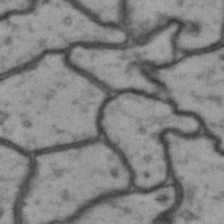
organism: Drosophila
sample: Brain